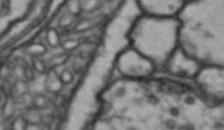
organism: Drosophila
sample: Brain